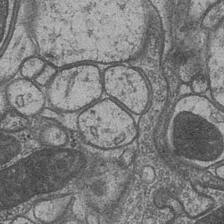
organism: Drosophila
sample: Optic medulla